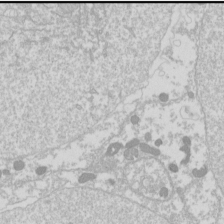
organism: Drosophila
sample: Cell division; meiosis; drosophila spermatocytes